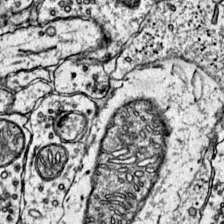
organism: Mouse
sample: Primary visual cortex